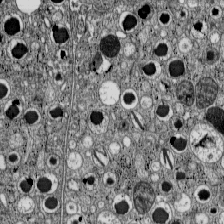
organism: C57BL Mouse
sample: Pancreatic islet